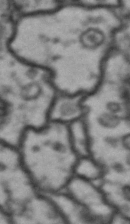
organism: Drosophila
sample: Brain